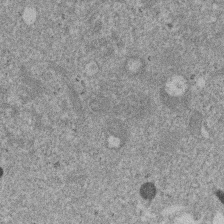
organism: Mouse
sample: Dividing mouse embryo 1 cell stage